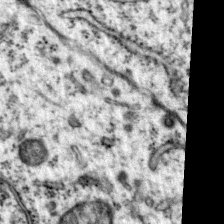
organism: Mouse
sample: Primary visual cortex